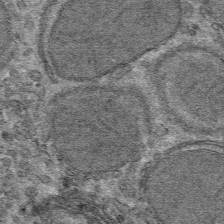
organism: Mouse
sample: Mouse hepatocytes